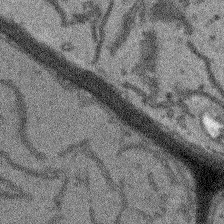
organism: Arabidopsis thaliana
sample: Root tip